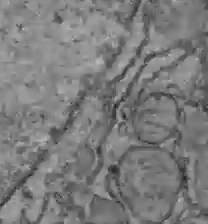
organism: C57BL Mouse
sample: Liver